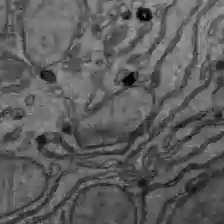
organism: C57BL Mouse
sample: Liver